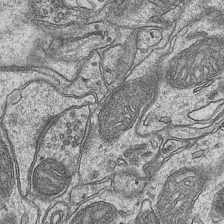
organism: Mouse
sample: CA1 Hippocampus